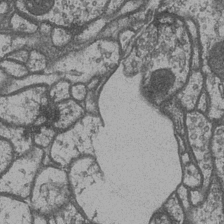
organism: Drosophila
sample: Optic medulla